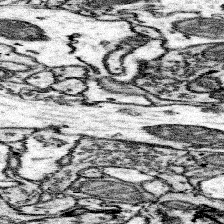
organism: Mouse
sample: Somatosensory cortex neuropil